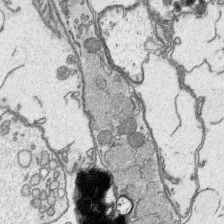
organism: Platynereis dumerilii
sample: Parapodia